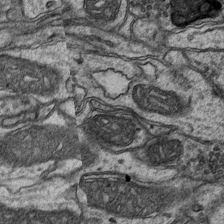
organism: Mouse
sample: CA1 Hippocampus